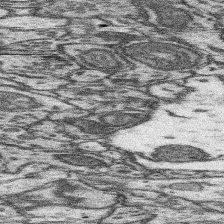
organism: Mouse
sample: Somatosensory cortex neuropil